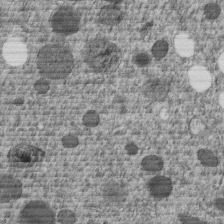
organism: C. elegans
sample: C. elegans embryo early stage